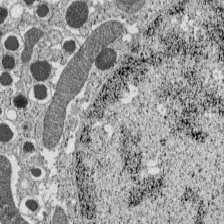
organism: C57BL Mouse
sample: Pancreatic islet